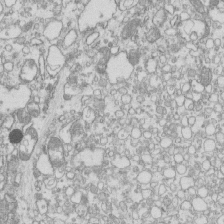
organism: Mouse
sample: Macrophages